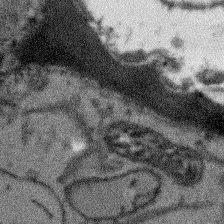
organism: Arabidopsis thaliana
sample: Root tip